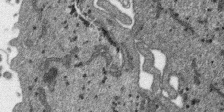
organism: Human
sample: Lung epithelial cells infected with SARS-CoV-2